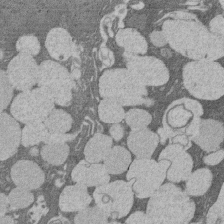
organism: Rat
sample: Salivary granule